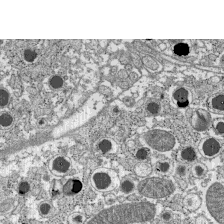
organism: C57BL Mouse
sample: Pancreatic islet